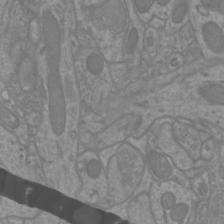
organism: Mouse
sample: Cortical neurons